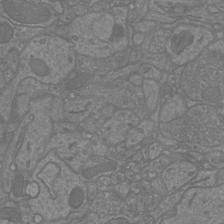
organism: Mouse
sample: Cortical neurons